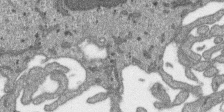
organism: Human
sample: Lung epithelial cells infected with SARS-CoV-2